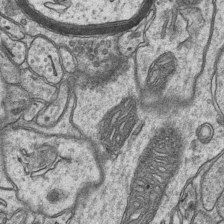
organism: Mouse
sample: CA1 Hippocampus